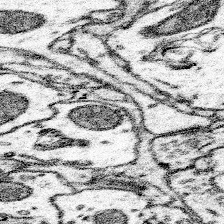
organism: Mouse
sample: Somatosensory cortex neuropil